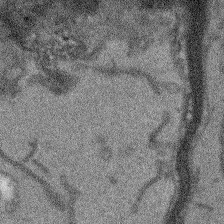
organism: Arabidopsis thaliana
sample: Root tip